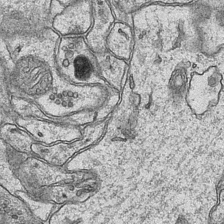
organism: Mouse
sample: CA1 Hippocampus